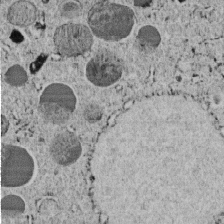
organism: C. elegans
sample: C. elegans embryo early stage